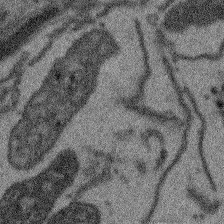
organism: Arabidopsis thaliana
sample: Root tip